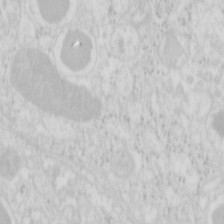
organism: Mouse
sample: Pancreas